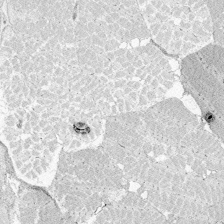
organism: Zebrafish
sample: Whole-Brain